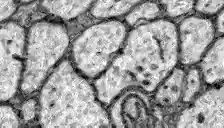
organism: Zebrafish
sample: Brain